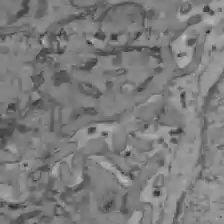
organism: C57BL Mouse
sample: Liver